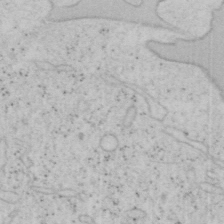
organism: Human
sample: HeLa cells